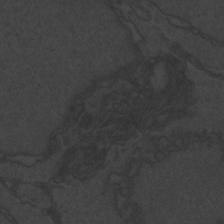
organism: Zebrafish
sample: Macrophage infected with Toxoplasma gondii